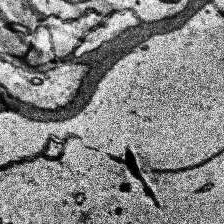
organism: Human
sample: Temporal Lobe